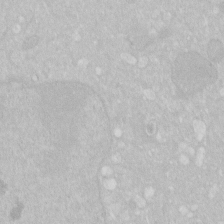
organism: Human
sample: HIV infected U937 cells